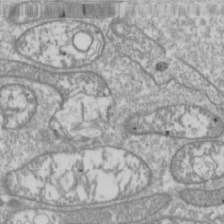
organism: Drosophila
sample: Cell division; meiosis; drosophila spermatocytes